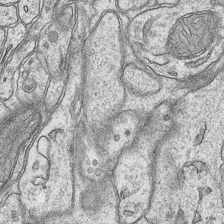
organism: Mouse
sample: CA1 Hippocampus